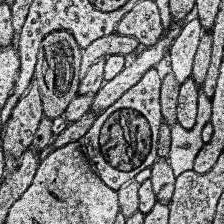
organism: Human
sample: Temporal Lobe